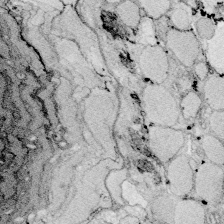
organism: Zebrafish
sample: Whole-Brain